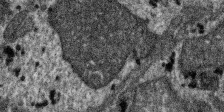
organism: Human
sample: Lung epithelial cells infected with SARS-CoV-2